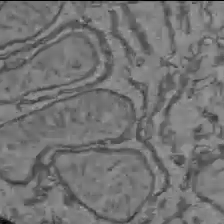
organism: C57BL Mouse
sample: Liver